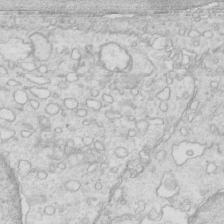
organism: Mouse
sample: Multiciliated cells